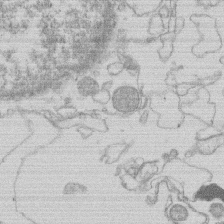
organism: Human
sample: Macrophage cells